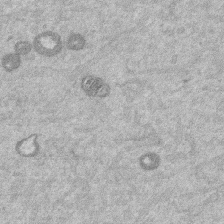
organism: Mouse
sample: Dividing mouse embryo 1 cell stage